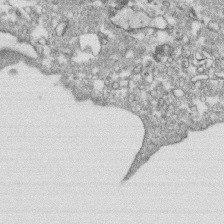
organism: Human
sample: CRL-1474